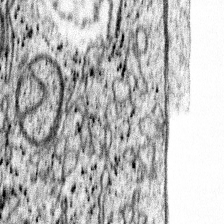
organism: Human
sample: HeLa cells